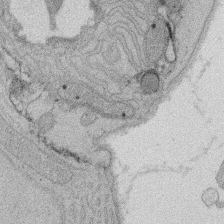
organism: Rat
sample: Salivary granule